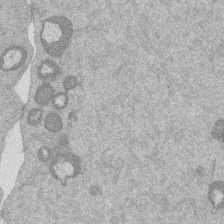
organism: Mouse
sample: Dividing mouse embryo 1 cell stage